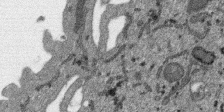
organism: Human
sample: Lung epithelial cells infected with SARS-CoV-2